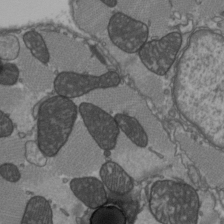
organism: C57BL Mouse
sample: Heart